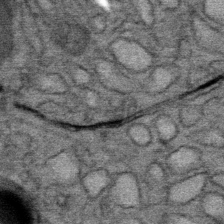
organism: Mouse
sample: Mouse Salivary gland